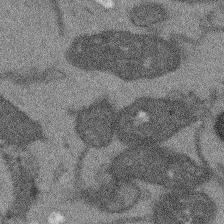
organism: Arabidopsis thaliana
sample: Root tip